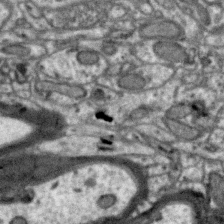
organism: Zebra finch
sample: Brain